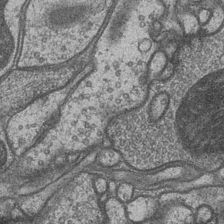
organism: Drosophila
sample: Optic medulla